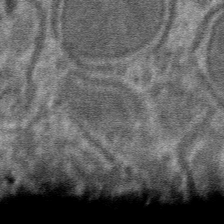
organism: Mouse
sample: Mouse hepatocytes